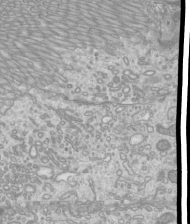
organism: Mouse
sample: Cilia; mouse epididymis